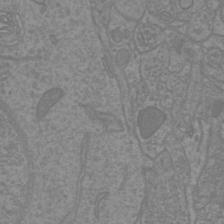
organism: Mouse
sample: Cortical neurons